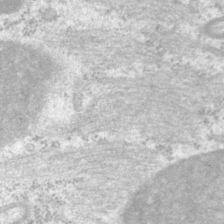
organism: P. pacificus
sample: Pharynx